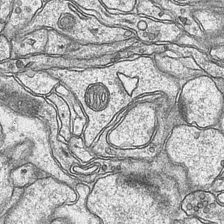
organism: Mouse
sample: CA1 Hippocampus